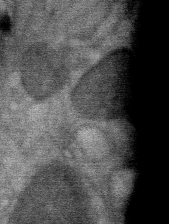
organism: Mouse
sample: Mouse Salivary gland